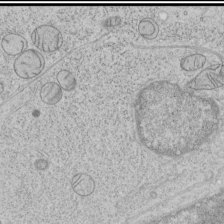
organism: Human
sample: Mitochondria in HCT116 cells